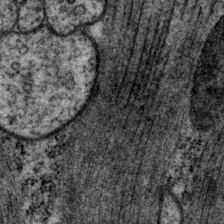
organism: P. pacificus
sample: Pharynx